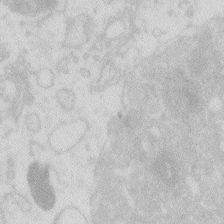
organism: Zebrafish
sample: Macrophage